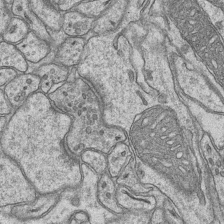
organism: Mouse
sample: CA1 Hippocampus